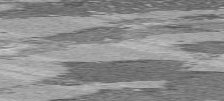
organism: C57BL Mouse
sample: Heart